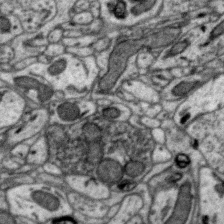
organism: Zebra finch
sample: Brain